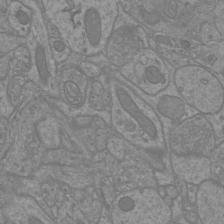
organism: Mouse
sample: Cortical neurons